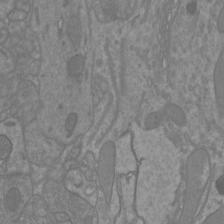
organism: Mouse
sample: Cortical neurons